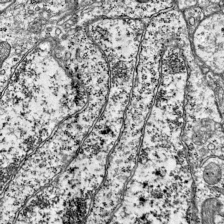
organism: Mouse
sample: Visual Cortex